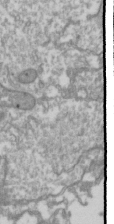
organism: Drosophila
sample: Cell division; meiosis; drosophila spermatocytes